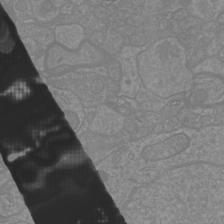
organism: Mouse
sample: Cortical neurons